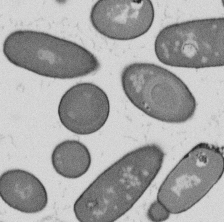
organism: B. subtilis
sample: Bacterial spore